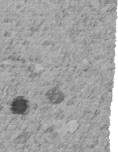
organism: C. elegans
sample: C. elegans embryo early stage